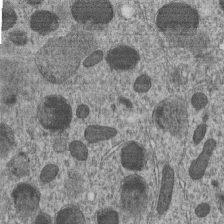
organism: C. elegans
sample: C. elegans embryo early stage